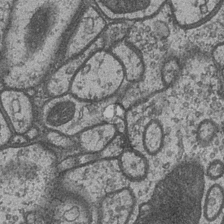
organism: Drosophila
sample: Optic medulla